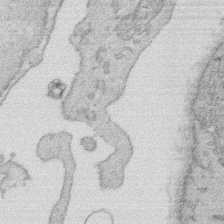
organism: Rat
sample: Salivary granule